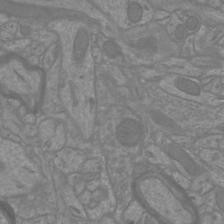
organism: Mouse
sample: Cortical neurons